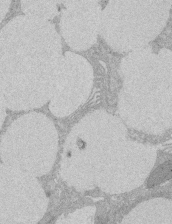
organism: Rat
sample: Salivary granule